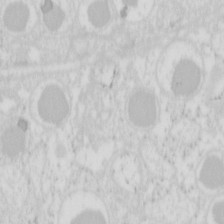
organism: Mouse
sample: Pancreas